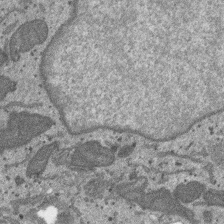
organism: Human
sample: Lung epithelial cells infected with SARS-CoV-2